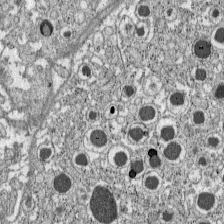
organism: C57BL Mouse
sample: Pancreatic islet